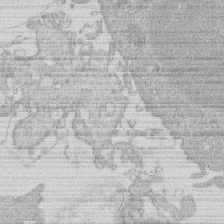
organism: Human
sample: Macrophage cells